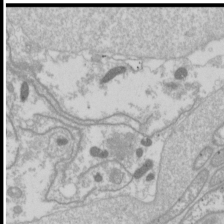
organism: Drosophila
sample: Cell division; meiosis; drosophila spermatocytes